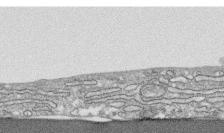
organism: Human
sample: CRL-1474